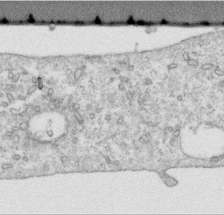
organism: Human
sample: Centriole in RPE cells